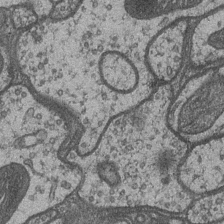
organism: Drosophila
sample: Optic medulla